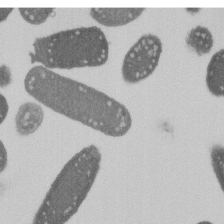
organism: E. coli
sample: Bacterial nucleoid